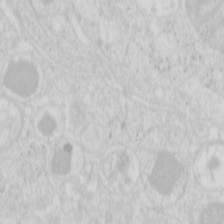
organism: Mouse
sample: Pancreas